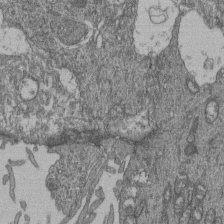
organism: Human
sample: Retinal organoid Rod and Cone cells